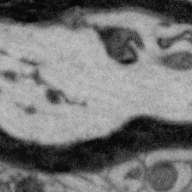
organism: Zebra finch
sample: Brain